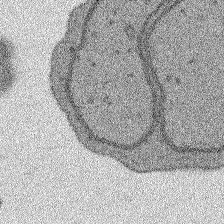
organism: Human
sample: HeLa cells